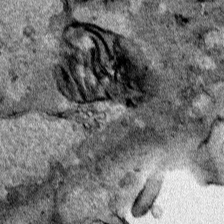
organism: Human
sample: Mitochondria in HCT116 cells